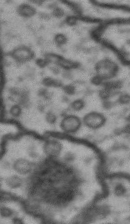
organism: Drosophila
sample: Brain